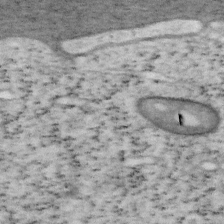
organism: Mouse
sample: OT-I killer T cells with ID8 ovarian cancer cells